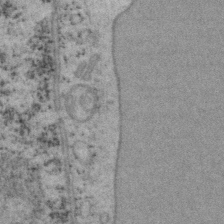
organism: Human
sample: HeLa cells